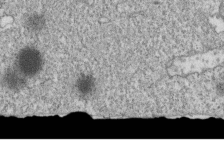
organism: Human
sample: HeLa cell HIV synapse